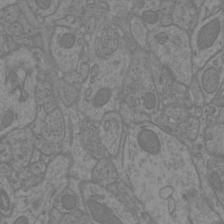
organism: Mouse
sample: Cortical neurons